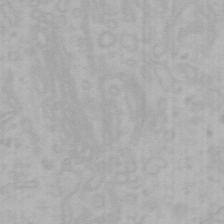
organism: Mouse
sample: Choroid plexus